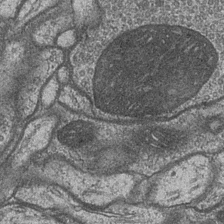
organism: Drosophila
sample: Optic medulla